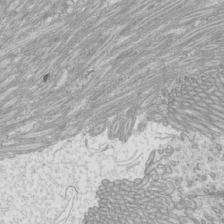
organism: Mouse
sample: Cilia; mouse epididymis